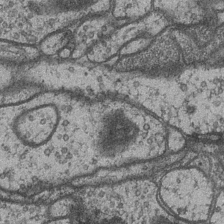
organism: Drosophila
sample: Optic medulla